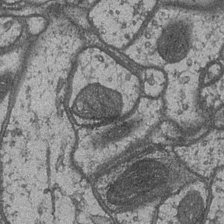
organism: Drosophila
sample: Optic medulla